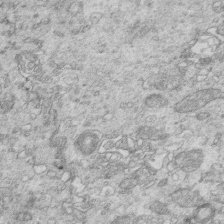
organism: Mouse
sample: Multiciliated cells